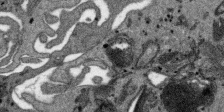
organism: Human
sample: Lung epithelial cells, uninfected (mock) control